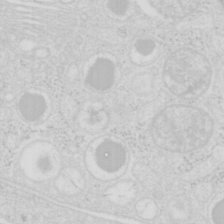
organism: Mouse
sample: Pancreas